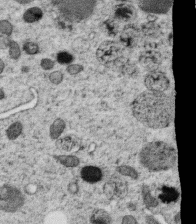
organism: C. elegans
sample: C. elegans oocyte; sperm cells